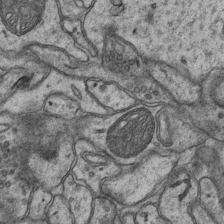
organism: Mouse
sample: CA1 Hippocampus